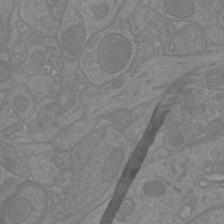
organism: Mouse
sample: Cortical neurons